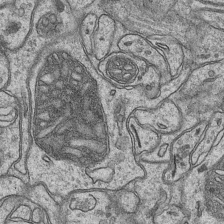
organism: Mouse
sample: CA1 Hippocampus